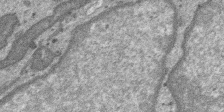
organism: Human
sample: Lung epithelial cells infected with SARS-CoV-2